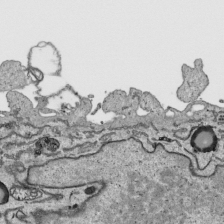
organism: Human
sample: Mitochondria in HCT116 cells